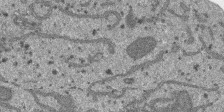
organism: Human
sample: Lung epithelial cells infected with SARS-CoV-2